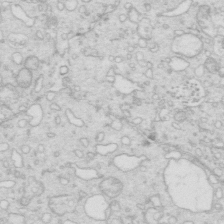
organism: Mouse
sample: Multiciliated cells